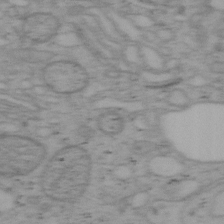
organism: Mouse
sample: OT-I killer T cells with ID8 ovarian cancer cells